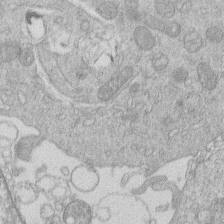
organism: Human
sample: Macrophage cells